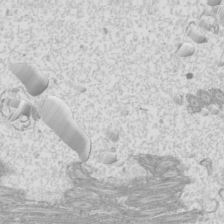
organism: Mouse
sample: Cilia; mouse epididymis